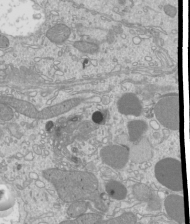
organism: Mouse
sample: Cilia; mouse epididymis